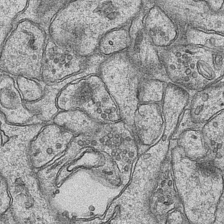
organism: Mouse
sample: CA1 Hippocampus